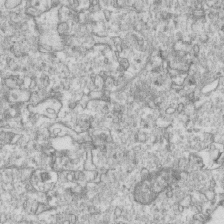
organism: Mouse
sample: Activated OT-1 CD8+ T cells